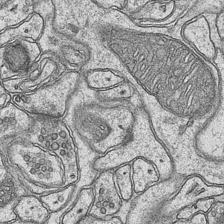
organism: Mouse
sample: CA1 Hippocampus